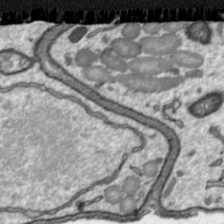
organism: Toxoplasma gondii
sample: Parasites in a vacuole inside a host cell